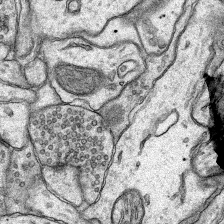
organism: Rat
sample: Hippocampus